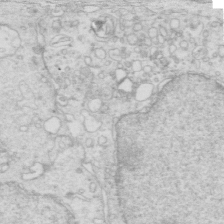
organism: Mouse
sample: Multiciliated cells